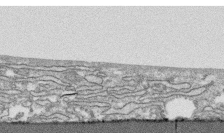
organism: Human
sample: CRL-1474